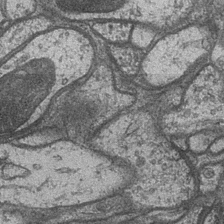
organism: Drosophila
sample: Optic medulla